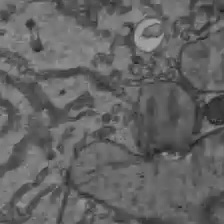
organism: C57BL Mouse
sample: Liver